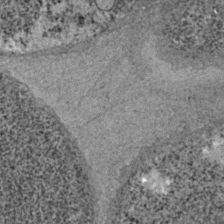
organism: C. elegans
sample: C. elegans embryo